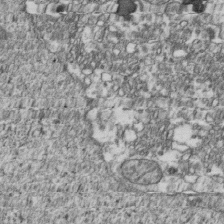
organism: Human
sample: Activated Jurkat CD4+ T cells